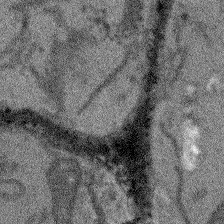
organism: Arabidopsis thaliana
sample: Root tip